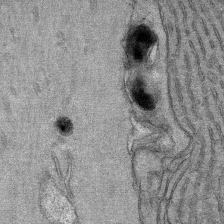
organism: Mouse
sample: Mouse Salivary gland